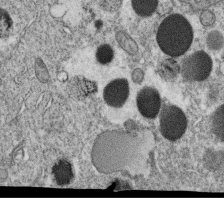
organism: C. elegans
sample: C. elegans oocyte; sperm cells